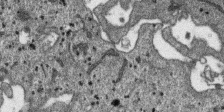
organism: Human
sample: Lung epithelial cells infected with SARS-CoV-2